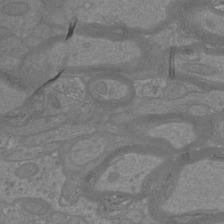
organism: Mouse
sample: Cortical neurons